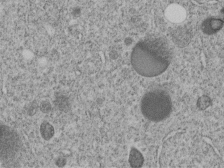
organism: C. elegans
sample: C. elegans embryo early stage